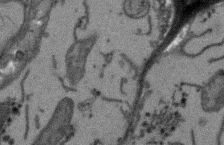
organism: Arabidopsis thaliana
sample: Root tip